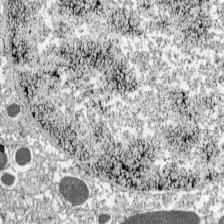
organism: C57BL Mouse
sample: Pancreatic islet